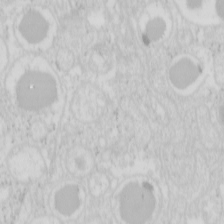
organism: Mouse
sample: Pancreas